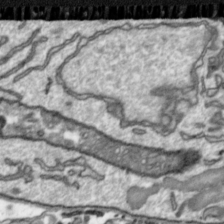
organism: Toxoplasma gondii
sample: Parasites in a vacuole inside a host cell